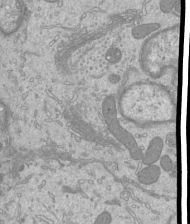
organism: Mouse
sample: Cilia; mouse epididymis